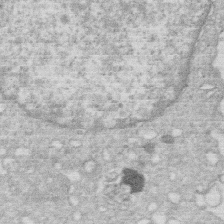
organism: Human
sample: Macrophage cells